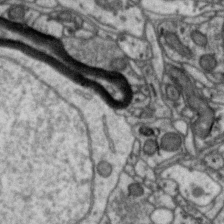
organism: Zebra finch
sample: Brain